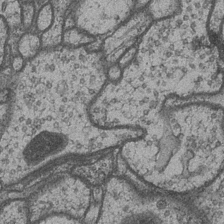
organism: Drosophila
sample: Optic medulla